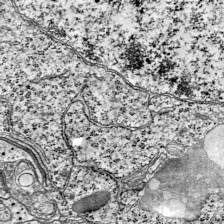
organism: Mouse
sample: Visual Cortex